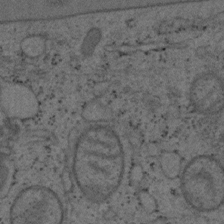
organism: Human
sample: HeLa cells